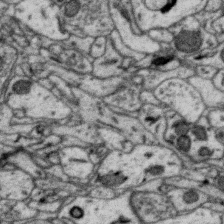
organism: Zebra finch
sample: Brain